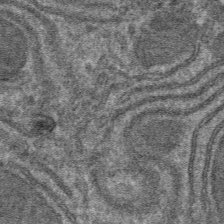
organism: Mouse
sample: Mouse hepatocytes